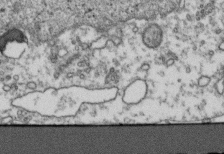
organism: Human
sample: Activated Jurkat CD4+ T cells